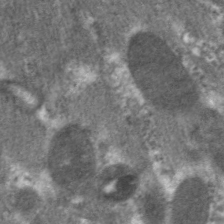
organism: C. elegans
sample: Pharynx